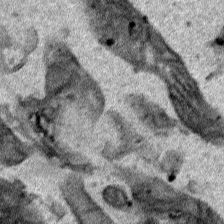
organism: Human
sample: Mitochondria in HCT116 cells